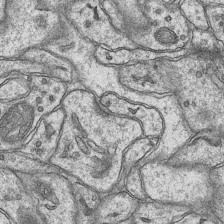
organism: Mouse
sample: CA1 Hippocampus